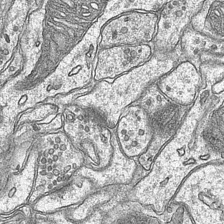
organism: Mouse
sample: CA1 Hippocampus